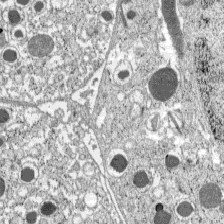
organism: C57BL Mouse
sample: Pancreatic islet